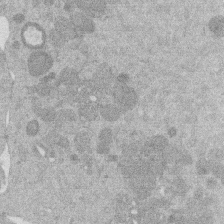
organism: Mouse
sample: Dividing mouse embryo 1 cell stage